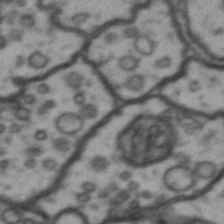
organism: Drosophila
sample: Brain